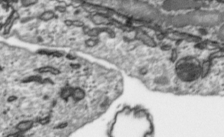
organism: Toxoplasma gondii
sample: Parasites in a vacuole inside a host cell